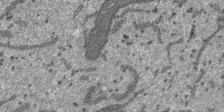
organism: Human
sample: Lung epithelial cells infected with SARS-CoV-2